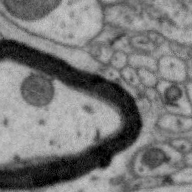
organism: Zebra finch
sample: Brain